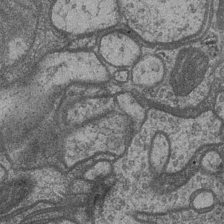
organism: Drosophila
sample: Optic medulla